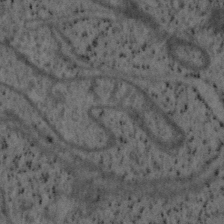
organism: Human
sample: HeLa cells